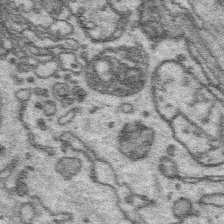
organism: Platynereis dumerilii